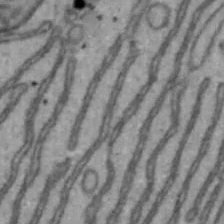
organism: Mouse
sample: Liver